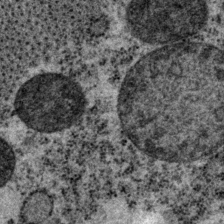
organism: P. pacificus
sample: Pharynx